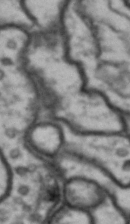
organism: Drosophila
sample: Brain